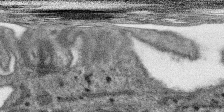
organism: Human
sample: Lung epithelial cells infected with SARS-CoV-2